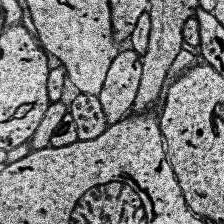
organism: Human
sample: Temporal Lobe